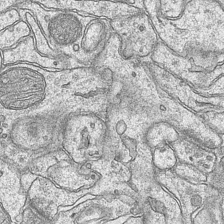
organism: Mouse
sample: CA1 Hippocampus